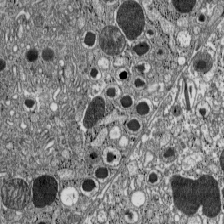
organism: C57BL Mouse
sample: Pancreatic islet